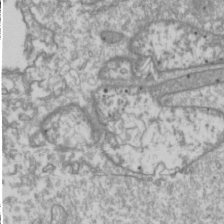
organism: Drosophila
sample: Cell division; meiosis; drosophila spermatocytes